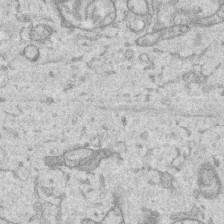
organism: Human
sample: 1205lu cells